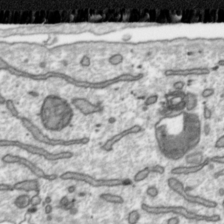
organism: Toxoplasma gondii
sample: Parasites in a vacuole inside a host cell